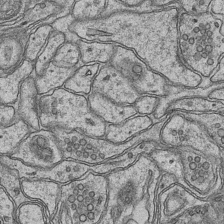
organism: Mouse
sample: CA1 Hippocampus